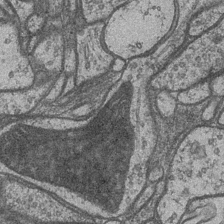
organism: Drosophila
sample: Optic medulla